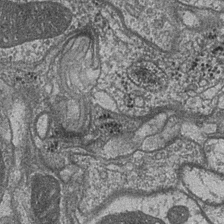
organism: Drosophila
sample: Optic medulla